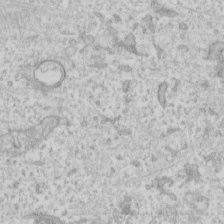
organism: Human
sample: Fibroblast cells